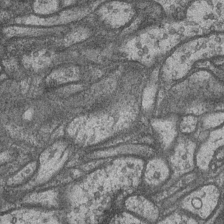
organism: Drosophila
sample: Optic medulla